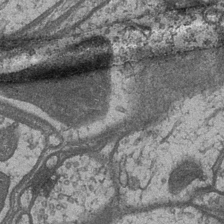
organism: Drosophila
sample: Optic medulla